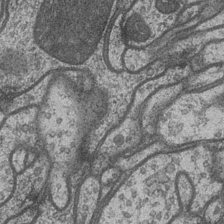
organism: Drosophila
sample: Optic medulla